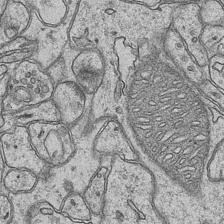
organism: Mouse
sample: CA1 Hippocampus